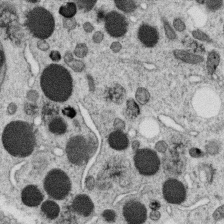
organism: C. elegans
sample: C. elegans oocyte; sperm cells